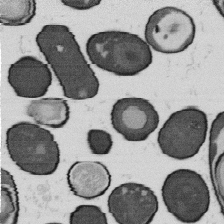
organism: B. subtilis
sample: Bacterial spore